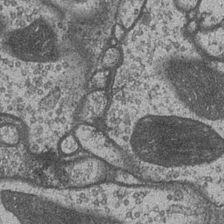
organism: Drosophila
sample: Optic medulla